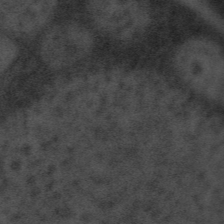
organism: Tuwongella immobilis